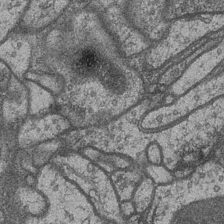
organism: Drosophila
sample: Optic medulla